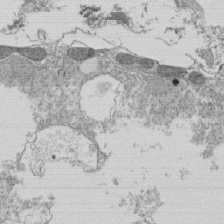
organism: Tetrahymena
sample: Cilia in tetrahymena